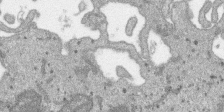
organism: Human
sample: Lung epithelial cells infected with SARS-CoV-2